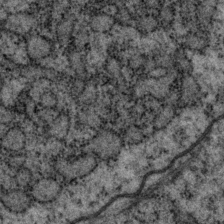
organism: P. pacificus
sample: Pharynx